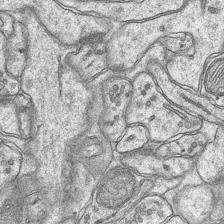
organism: Mouse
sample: CA1 Hippocampus